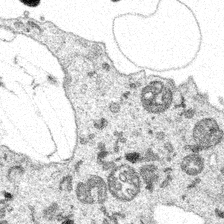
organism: Spongilla lacustris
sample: Multiple